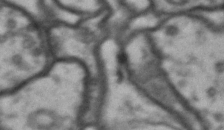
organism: Drosophila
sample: Brain